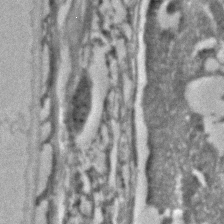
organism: C. elegans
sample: C. elegans embryo